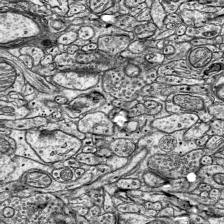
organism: Mouse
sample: Visual Cortex